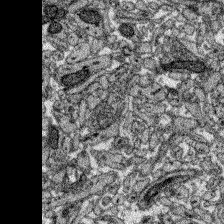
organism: Zebrafish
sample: Larval olfactory bulb